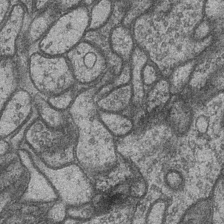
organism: Drosophila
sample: Optic medulla